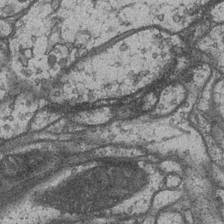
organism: Drosophila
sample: Optic medulla